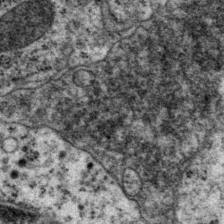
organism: P. pacificus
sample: Pharynx